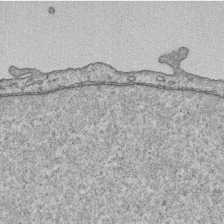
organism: Human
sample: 1205lu cells